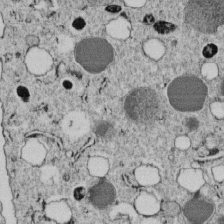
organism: C. elegans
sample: C. elegans embryo early stage